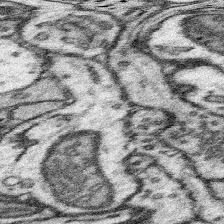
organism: Mouse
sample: Somatosensory cortex neuropil